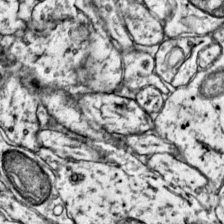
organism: Mouse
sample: Primary visual cortex